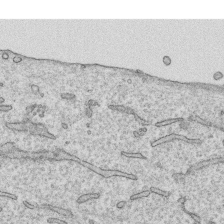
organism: Human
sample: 1205lu cells